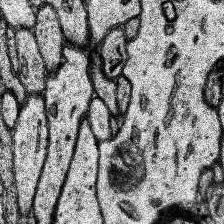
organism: Human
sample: Temporal Lobe